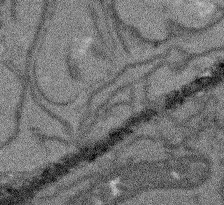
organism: Arabidopsis thaliana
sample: Root tip